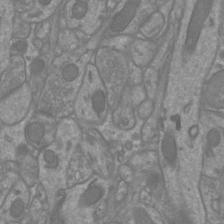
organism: Mouse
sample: Cortical neurons